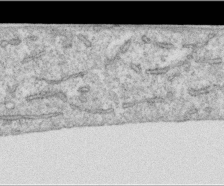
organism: Human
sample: Centriole in RPE cells